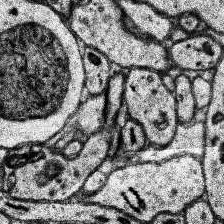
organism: Human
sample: Temporal Lobe